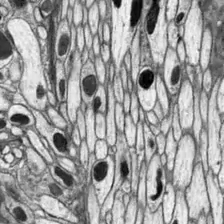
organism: Drosophila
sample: Optic lobe